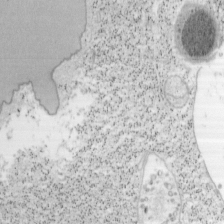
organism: Mouse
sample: OT-I killer T cells with ID8 ovarian cancer cells